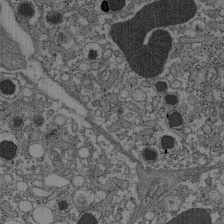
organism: C57BL Mouse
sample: Pancreatic islet